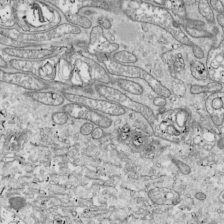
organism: Drosophila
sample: Cell division; meiosis; drosophila spermatocytes